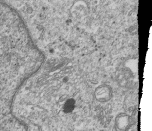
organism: Human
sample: MDA-MB-231 cells